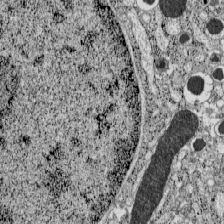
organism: C57BL Mouse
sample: Pancreatic islet